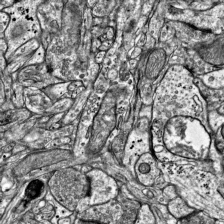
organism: Mouse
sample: Visual Cortex